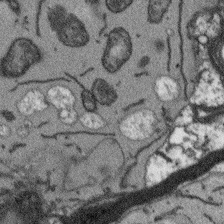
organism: Arabidopsis thaliana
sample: Root tip